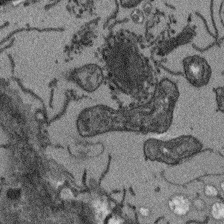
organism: Arabidopsis thaliana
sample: Root tip